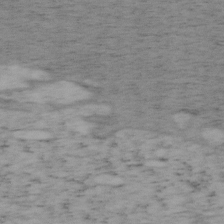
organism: Mouse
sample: OT-I killer T cells with ID8 ovarian cancer cells